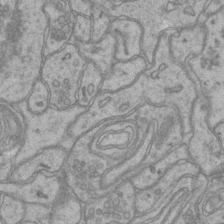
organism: Mouse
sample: CA1 Hippocampus